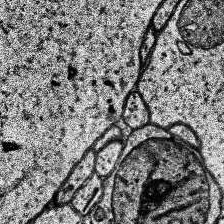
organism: Human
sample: Temporal Lobe